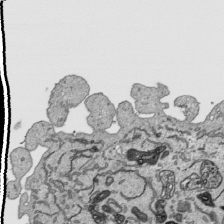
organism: Human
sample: Mitochondria in HCT116 cells